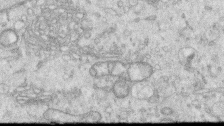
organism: Human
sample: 1205lu cells